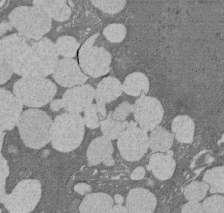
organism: Rat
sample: Salivary granule